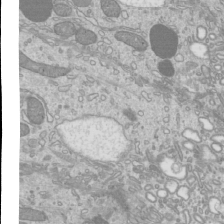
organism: Mouse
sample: Cilia; mouse epididymis